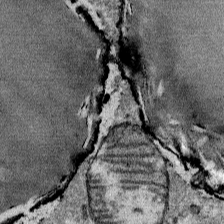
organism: Mouse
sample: Mouse Salivary gland